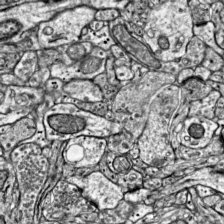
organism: Mouse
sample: Visual Cortex